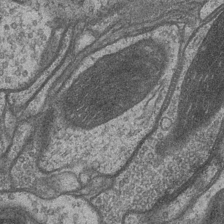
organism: Drosophila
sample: Optic medulla